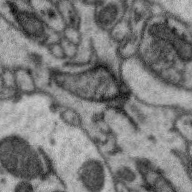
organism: Zebra finch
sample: Brain